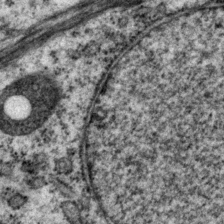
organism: P. pacificus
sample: Pharynx